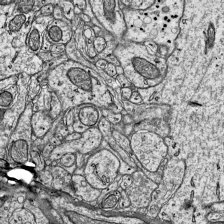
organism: Mouse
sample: Visual Cortex